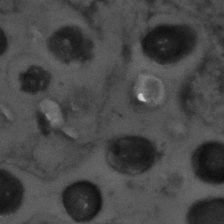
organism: Zebrafish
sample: Zebrafish embryo